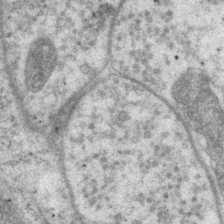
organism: P. pacificus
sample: Pharynx